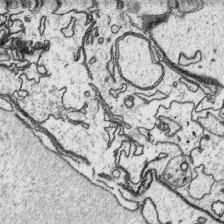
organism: Platynereis dumerilii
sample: Parapodia